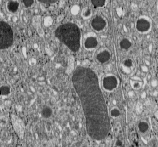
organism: C57BL Mouse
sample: Pancreatic islet